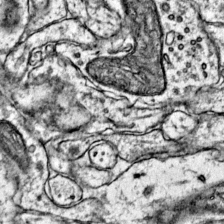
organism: Mouse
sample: Primary visual cortex